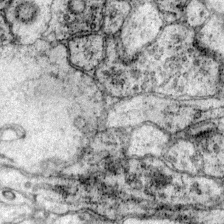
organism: Mouse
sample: Primary visual cortex